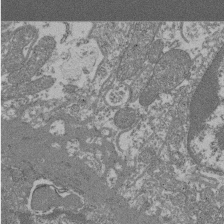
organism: Mouse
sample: Glomerulus